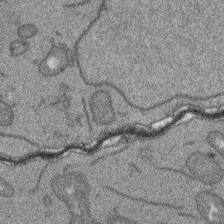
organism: Arabidopsis thaliana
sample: Root tip